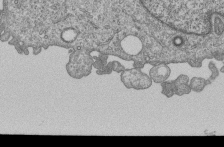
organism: Human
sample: MDA-MB-231 cells